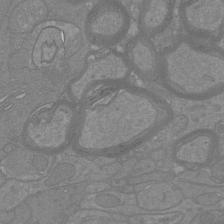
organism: Mouse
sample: Cortical neurons